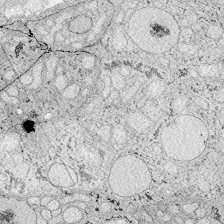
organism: Zebrafish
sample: Whole-Brain